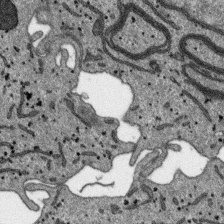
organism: Human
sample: Lung epithelial cells, uninfected (mock) control